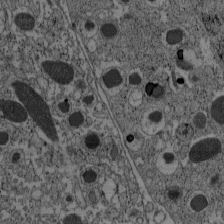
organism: C57BL Mouse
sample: Pancreatic islet